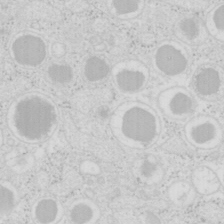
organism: Mouse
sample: Pancreas